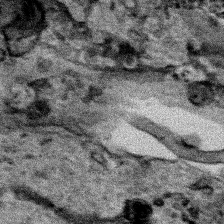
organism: Human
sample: Mitochondria in HCT116 cells